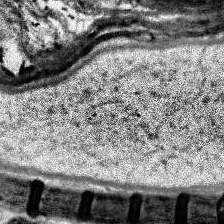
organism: Human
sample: Temporal Lobe